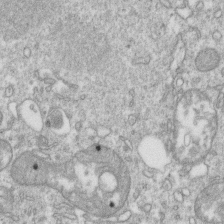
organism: Mouse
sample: Activated OT-1 CD8+ T cells